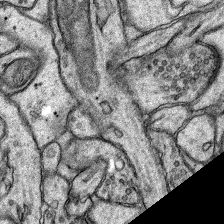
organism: Rat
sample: Hippocampus